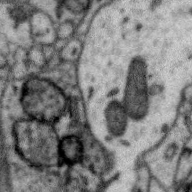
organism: Zebra finch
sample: Brain